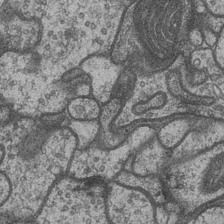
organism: Drosophila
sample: Optic medulla